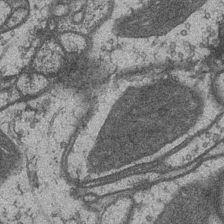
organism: Drosophila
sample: Optic medulla